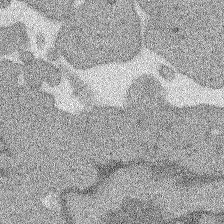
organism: Human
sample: HeLa cells